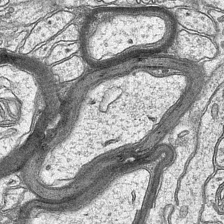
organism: Mouse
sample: CA1 Hippocampus